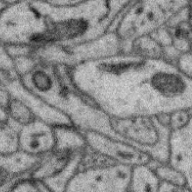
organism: Zebra finch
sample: Brain